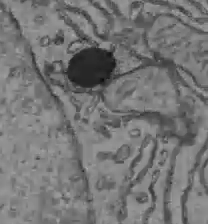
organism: C57BL Mouse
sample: Liver